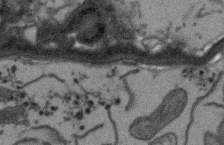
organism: Arabidopsis thaliana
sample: Root tip